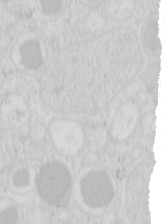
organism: Mouse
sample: Pancreas